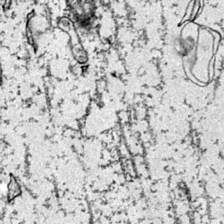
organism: Mouse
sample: Primary visual cortex